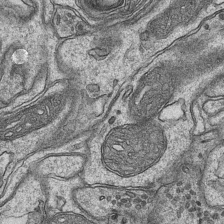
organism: Mouse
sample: CA1 Hippocampus